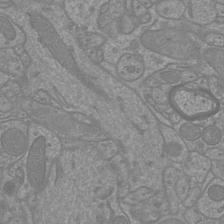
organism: Mouse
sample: Cortical neurons